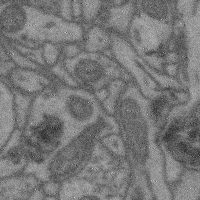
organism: Mouse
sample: Cerebral cortex